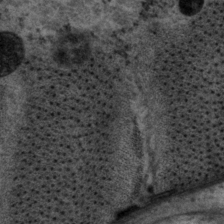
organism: P. pacificus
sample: Pharynx